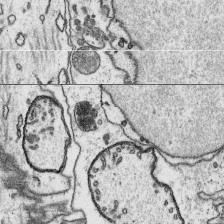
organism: Platynereis dumerilii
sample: Parapodia